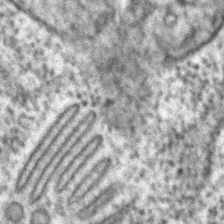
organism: C. elegans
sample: C. elegans embryo